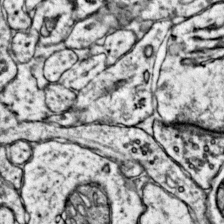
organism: Mouse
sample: Primary visual cortex